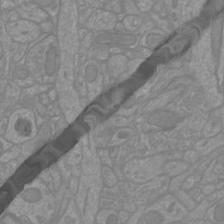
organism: Mouse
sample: Cortical neurons